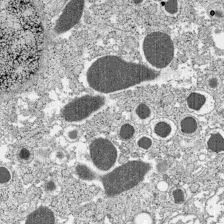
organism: C57BL Mouse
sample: Pancreatic islet